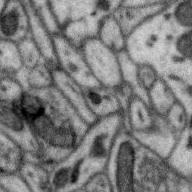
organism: Zebra finch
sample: Brain